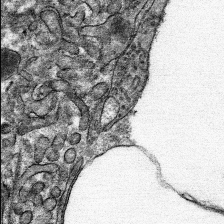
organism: Mouse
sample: Mouse hepatocytes